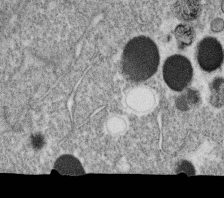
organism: C. elegans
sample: C. elegans oocyte; sperm cells